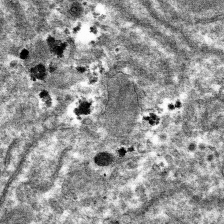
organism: Mouse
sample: Mouse hepatocytes